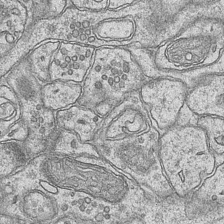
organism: Mouse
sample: CA1 Hippocampus